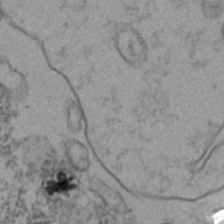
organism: Zebrafish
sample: Zebrafish embryo